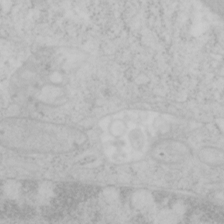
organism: Mouse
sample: OT-I killer T cells with ID8 ovarian cancer cells